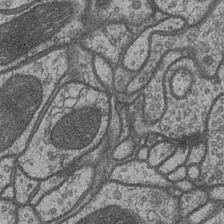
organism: Drosophila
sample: Optic medulla